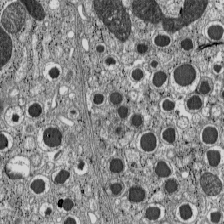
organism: C57BL Mouse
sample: Pancreatic islet